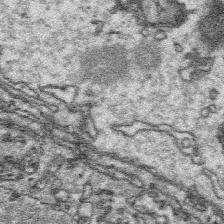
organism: Platynereis dumerilii